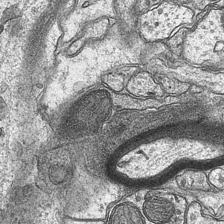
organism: Mouse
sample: CA1 Hippocampus